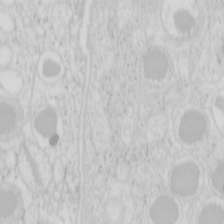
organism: Mouse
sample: Pancreas